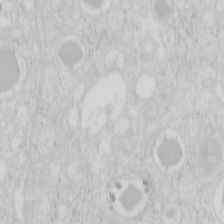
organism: Mouse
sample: Pancreas